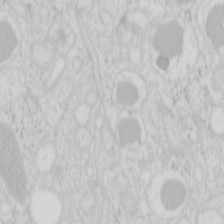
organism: Mouse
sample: Pancreas